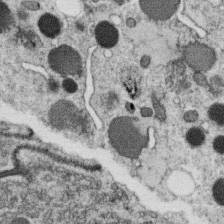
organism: C. elegans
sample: C. elegans oocyte; sperm cells